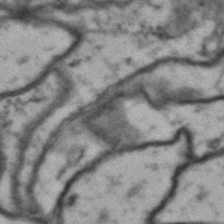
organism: Drosophila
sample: Brain